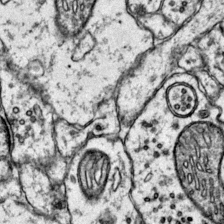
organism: Mouse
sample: Primary visual cortex